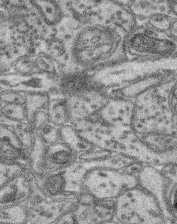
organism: Mouse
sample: Retina